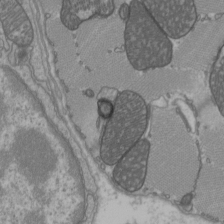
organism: C57BL Mouse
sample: Heart